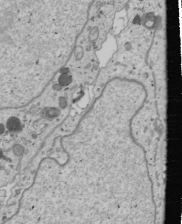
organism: Human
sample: Mitochondria in U2OS cells